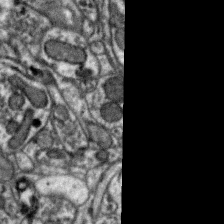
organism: Zebra finch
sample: Brain